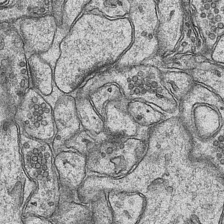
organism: Mouse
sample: CA1 Hippocampus